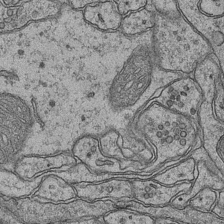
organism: Mouse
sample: CA1 Hippocampus